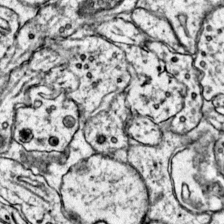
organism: Mouse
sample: Primary visual cortex